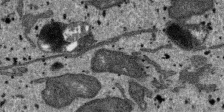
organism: Human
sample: Lung epithelial cells, uninfected (mock) control